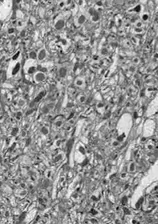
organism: Drosophila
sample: Optic lobe